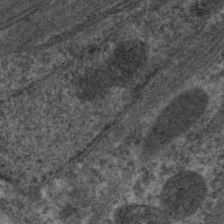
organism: C. elegans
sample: Pharynx